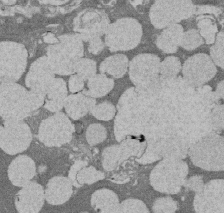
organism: Rat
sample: Salivary granule